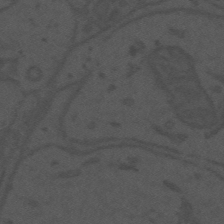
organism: Mouse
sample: Suprachiasmatic nucleus